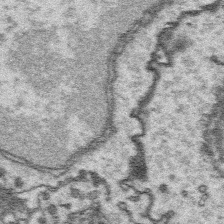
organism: Platynereis dumerilii